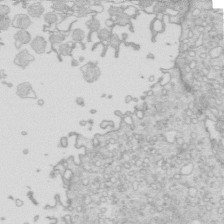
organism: Mouse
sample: Multiciliated cells